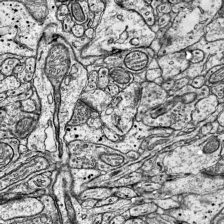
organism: Mouse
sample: Visual Cortex